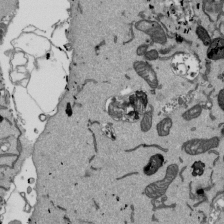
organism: Mouse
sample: ED-1 cell nuclei; centrioles